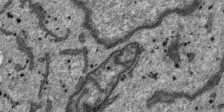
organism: Human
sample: Lung epithelial cells, uninfected (mock) control